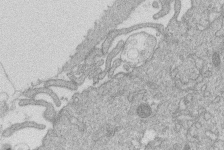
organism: Human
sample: Macrophage cells